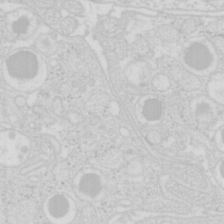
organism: Mouse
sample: Pancreas